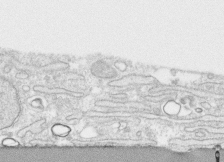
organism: Human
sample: CRL-1474